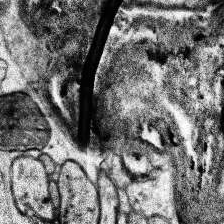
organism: Human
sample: Temporal Lobe